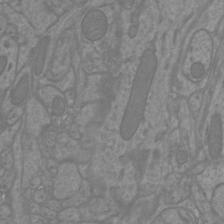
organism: Mouse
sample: Cortical neurons